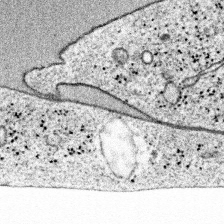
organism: Human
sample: HeLa cells